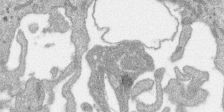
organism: Human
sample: Lung epithelial cells infected with SARS-CoV-2